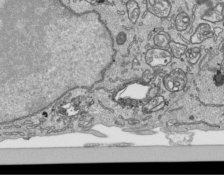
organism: Human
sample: Mitochondria in HCT116 cells